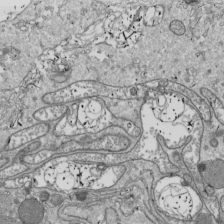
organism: Drosophila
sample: Cell division; meiosis; drosophila spermatocytes